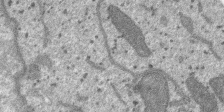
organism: Human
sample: Lung epithelial cells infected with SARS-CoV-2